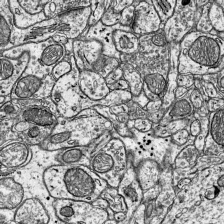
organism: Mouse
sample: Visual Cortex